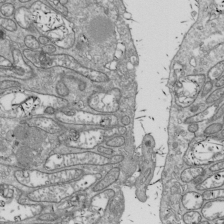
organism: Drosophila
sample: Cell division; meiosis; drosophila spermatocytes